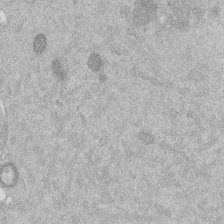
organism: Mouse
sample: Dividing mouse embryo 1 cell stage